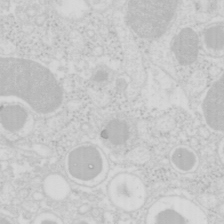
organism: Mouse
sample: Pancreas